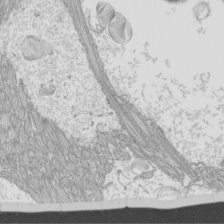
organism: Mouse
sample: Cilia; mouse epididymis